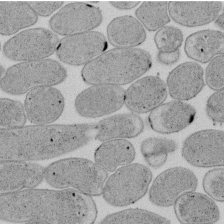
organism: E. coli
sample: Bacterial nucleoid